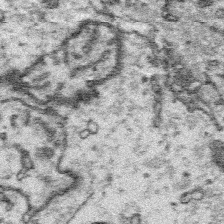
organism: Platynereis dumerilii